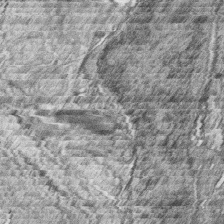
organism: Zebrafish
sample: synaptic ribbons in rod cells and cone cells